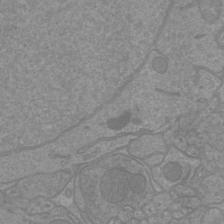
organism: Mouse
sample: Cortical neurons